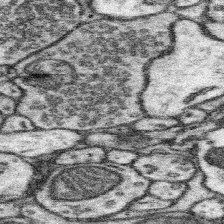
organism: Mouse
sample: Somatosensory cortex neuropil